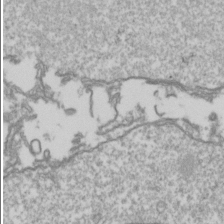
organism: Drosophila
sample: Cell division; meiosis; drosophila spermatocytes